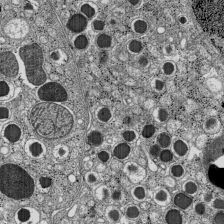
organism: C57BL Mouse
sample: Pancreatic islet